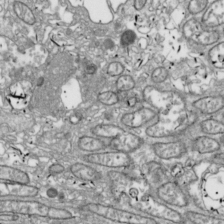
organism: Drosophila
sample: Cell division; meiosis; drosophila spermatocytes